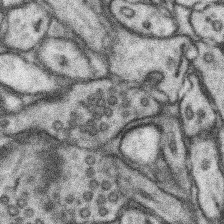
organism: Mouse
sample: Somatosensory cortex neuropil